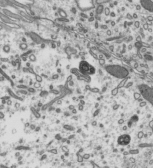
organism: Mouse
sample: Mouse epididymis efferent ductule cilia